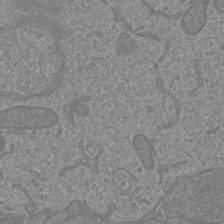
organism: Mouse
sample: Cortical neurons